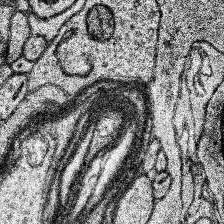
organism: Human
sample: Temporal Lobe